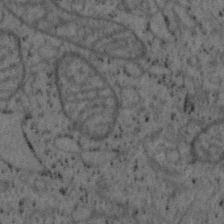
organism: Human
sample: HeLa cells